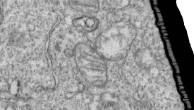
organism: Human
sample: HeLa cell HIV synapse